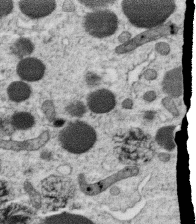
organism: C. elegans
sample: C. elegans oocyte; sperm cells